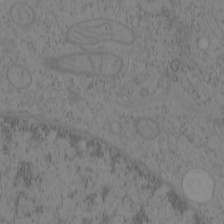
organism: Human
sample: HeLa cells